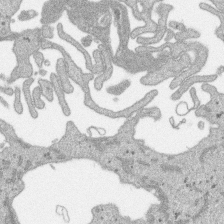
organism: Human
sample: Lung epithelial cells infected with SARS-CoV-2